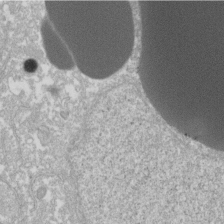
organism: Xenopus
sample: Cilia; centrioles in frog embryo cells